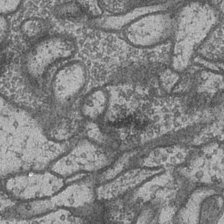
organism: Drosophila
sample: Optic medulla